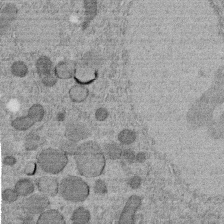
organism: C. elegans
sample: C. elegans embryo early stage